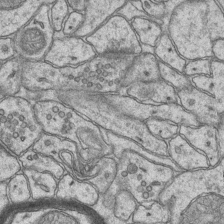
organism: Mouse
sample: CA1 Hippocampus